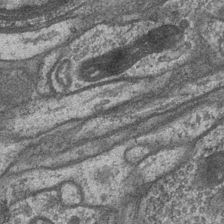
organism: Drosophila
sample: Optic medulla